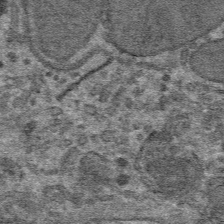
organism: Mouse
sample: Mouse hepatocytes